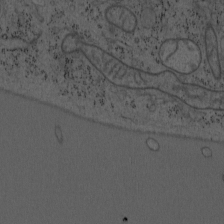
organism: Mouse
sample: OT-I killer T cells with ID8 ovarian cancer cells